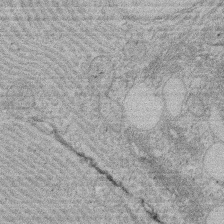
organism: Rat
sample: Salivary granule